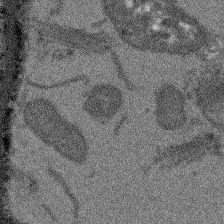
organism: Arabidopsis thaliana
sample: Root tip